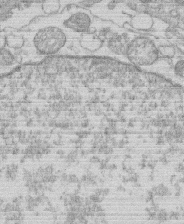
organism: Human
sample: Macrophage cells